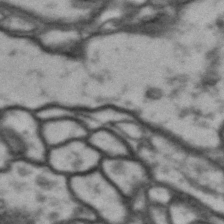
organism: Drosophila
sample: Brain